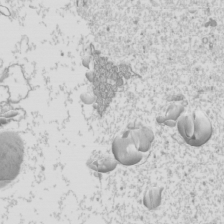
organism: Mouse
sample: Cilia; mouse epididymis